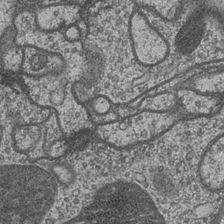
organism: Drosophila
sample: Optic medulla